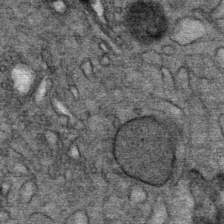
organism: Mouse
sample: Mouse Salivary gland